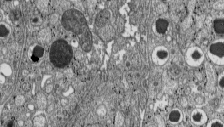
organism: C57BL Mouse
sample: Pancreatic islet